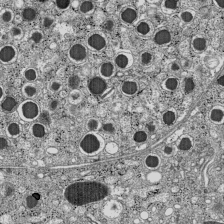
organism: C57BL Mouse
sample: Pancreatic islet